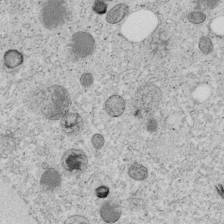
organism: C. elegans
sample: C. elegans embryo early stage